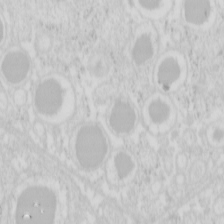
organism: Mouse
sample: Pancreas